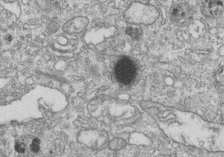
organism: Human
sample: HeLa cell HIV synapse